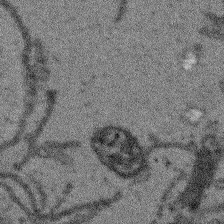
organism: Arabidopsis thaliana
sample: Root tip